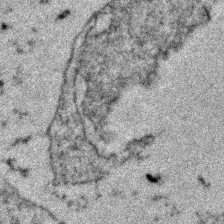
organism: Zebrafish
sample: Zebrafish embryo